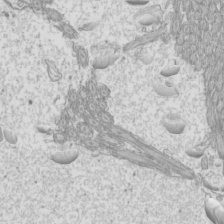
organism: Mouse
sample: Cilia; mouse epididymis